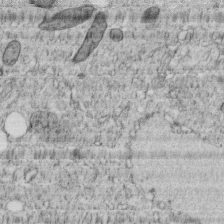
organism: C. elegans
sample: C. elegans embryo early stage